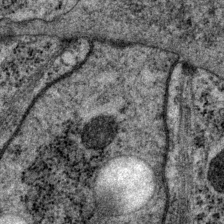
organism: P. pacificus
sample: Pharynx